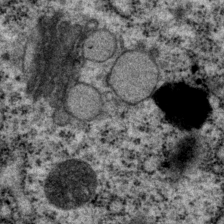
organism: P. pacificus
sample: Pharynx